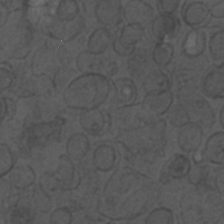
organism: C. elegans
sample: C. elegans embryo